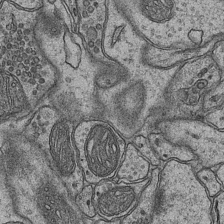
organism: Mouse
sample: CA1 Hippocampus